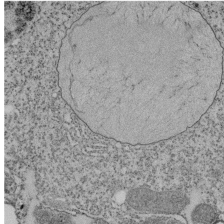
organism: Tetrahymena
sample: Cilia in tetrahymena